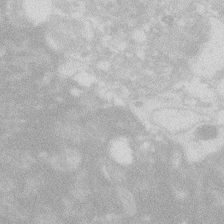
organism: Zebrafish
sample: Macrophage